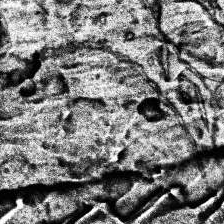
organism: Human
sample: Temporal Lobe